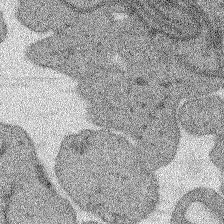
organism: Human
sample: HeLa cells